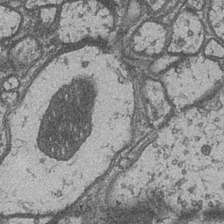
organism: Drosophila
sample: Optic medulla